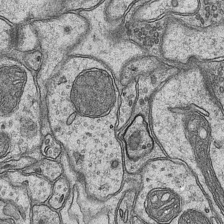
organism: Mouse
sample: CA1 Hippocampus